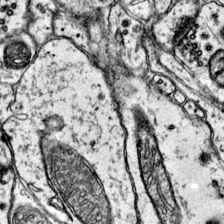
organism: Mouse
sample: Primary visual cortex